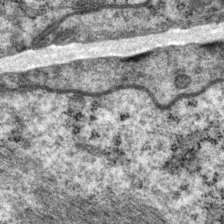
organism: P. pacificus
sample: Pharynx